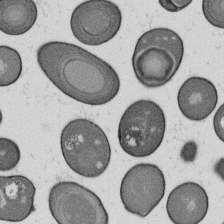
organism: B. subtilis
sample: Bacterial spore